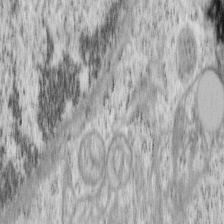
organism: Human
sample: HeLa cells